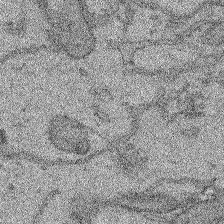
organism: Human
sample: HeLa cells